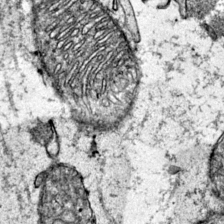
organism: Mouse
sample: Primary visual cortex